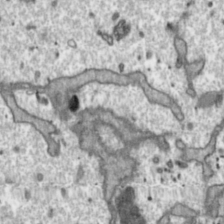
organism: Toxoplasma gondii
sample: Parasites in a vacuole inside a host cell